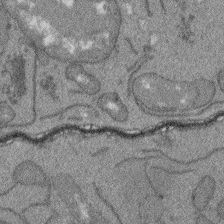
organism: Arabidopsis thaliana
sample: Root tip